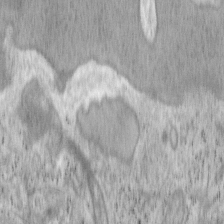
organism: Human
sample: HeLa cells